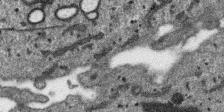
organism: Human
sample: Lung epithelial cells infected with SARS-CoV-2